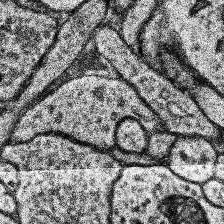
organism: Human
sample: Temporal Lobe